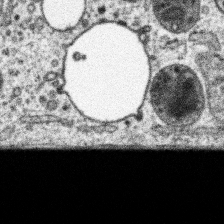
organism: Human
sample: HeLa cells